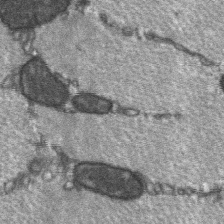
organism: C57BL Mouse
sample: Soleus